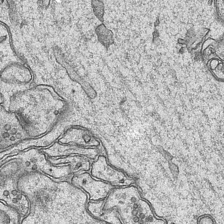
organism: Mouse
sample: CA1 Hippocampus